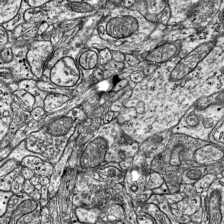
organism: Mouse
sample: Visual Cortex